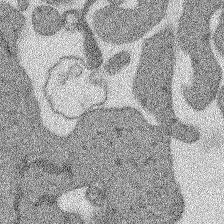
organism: Human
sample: HeLa cells